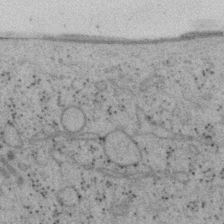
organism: Human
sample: HeLa cells